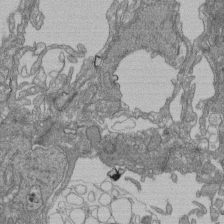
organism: Human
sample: Retinal organoid Rod and Cone cells